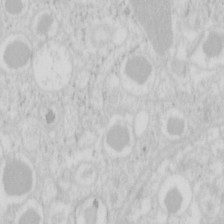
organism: Mouse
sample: Pancreas